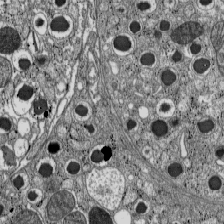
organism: C57BL Mouse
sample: Pancreatic islet